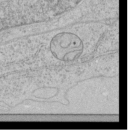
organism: Human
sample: Mitochondria in HCT116 cells